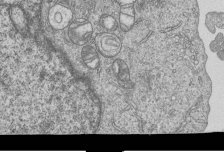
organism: Human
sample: MDA-MB-231 cells